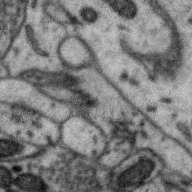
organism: Zebra finch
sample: Brain